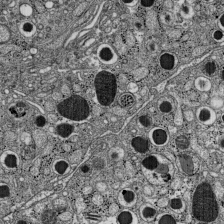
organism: C57BL Mouse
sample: Pancreatic islet